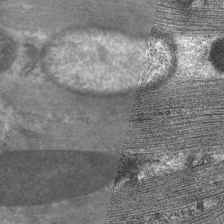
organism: C. elegans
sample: Pharynx